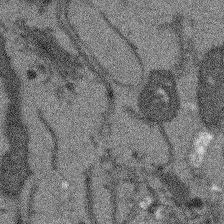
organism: Arabidopsis thaliana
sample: Root tip